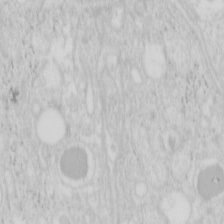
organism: Mouse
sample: Pancreas